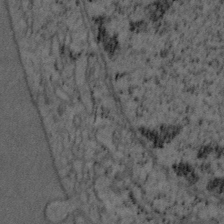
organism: Human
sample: HeLa cells